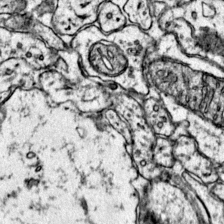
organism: Mouse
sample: Primary visual cortex